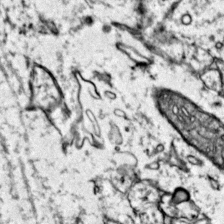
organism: Mouse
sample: Primary visual cortex